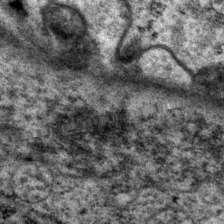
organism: P. pacificus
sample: Pharynx